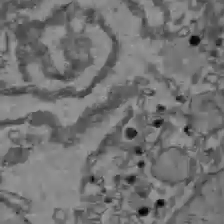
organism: C57BL Mouse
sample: Liver